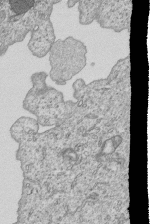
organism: Human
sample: MDA-MB-231 cells